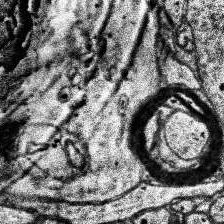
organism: Human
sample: Temporal Lobe